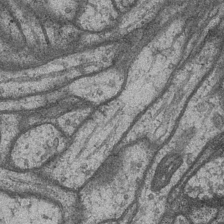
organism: Drosophila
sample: Optic medulla